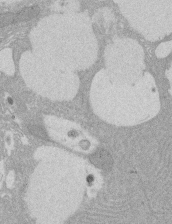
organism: Rat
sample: Salivary granule